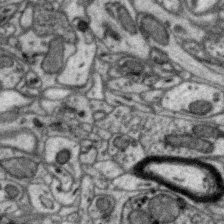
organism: Zebra finch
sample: Brain